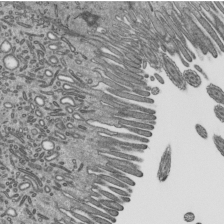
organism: Mouse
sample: Mouse epididymis efferent ductule cilia